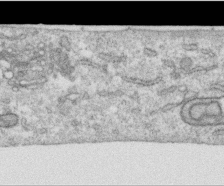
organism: Human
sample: Centriole in RPE cells